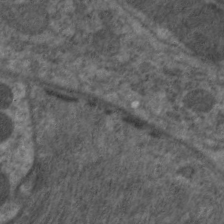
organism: C. elegans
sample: Pharynx